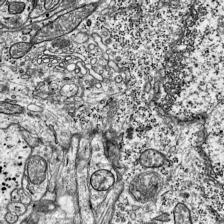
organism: Mouse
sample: Visual Cortex